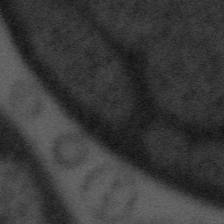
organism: Tuwongella immobilis